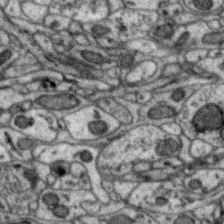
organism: Zebra finch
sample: Brain